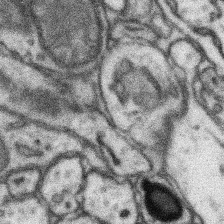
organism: Mouse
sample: Somatosensory cortex neuropil